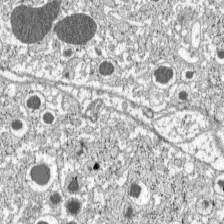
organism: C57BL Mouse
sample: Pancreatic islet